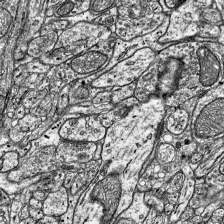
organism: Mouse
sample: Visual Cortex